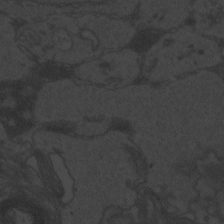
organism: Zebrafish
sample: Macrophage infected with Toxoplasma gondii